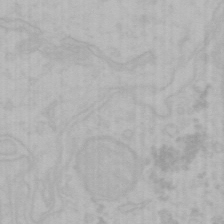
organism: Mouse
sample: Choroid plexus